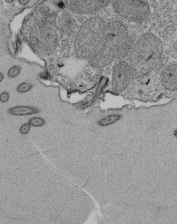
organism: Tetrahymena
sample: Cilia in tetrahymena